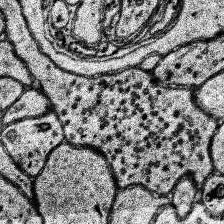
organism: Human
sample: Temporal Lobe